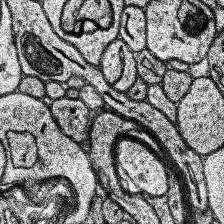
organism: Human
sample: Temporal Lobe